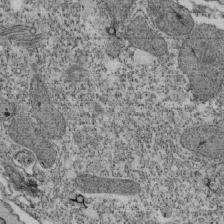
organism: Tetrahymena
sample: Cilia in tetrahymena